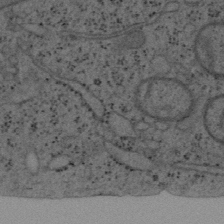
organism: Human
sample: HeLa cells